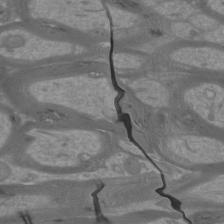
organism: Mouse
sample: Cortical neurons